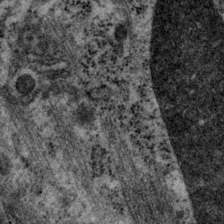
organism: P. pacificus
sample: Pharynx